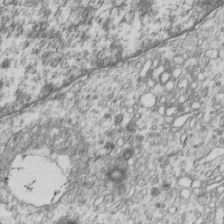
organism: Human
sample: MDA-MB-231 cells